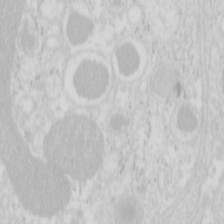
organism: Mouse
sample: Pancreas